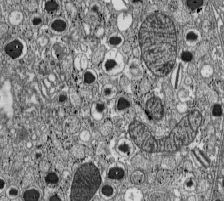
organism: C57BL Mouse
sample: Pancreatic islet